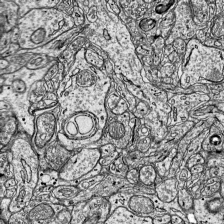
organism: Mouse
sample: Visual Cortex